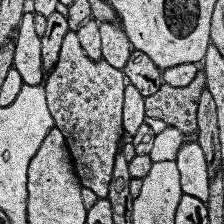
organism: Human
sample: Temporal Lobe